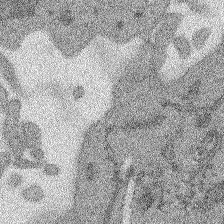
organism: Human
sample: HeLa cells